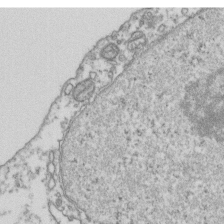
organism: Human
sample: Activated Jurkat CD4+ T cells